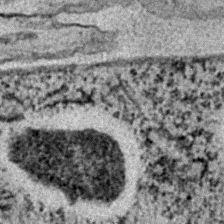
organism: C. elegans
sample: C. elegans embryo